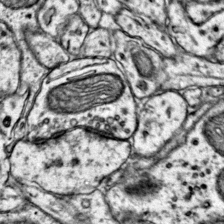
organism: Mouse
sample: Primary visual cortex